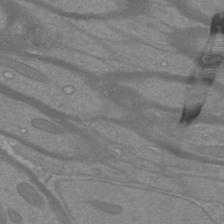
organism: Mouse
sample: Cortical neurons